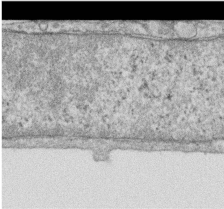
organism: Human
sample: Centriole in RPE cells